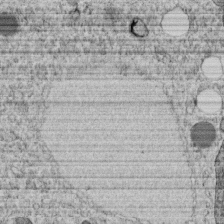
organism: C. elegans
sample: C. elegans embryo early stage